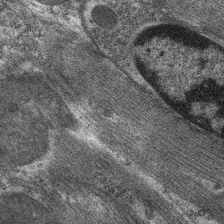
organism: C. elegans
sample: Pharynx